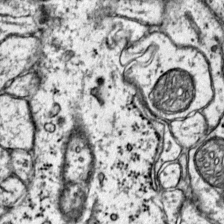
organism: Mouse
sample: Primary visual cortex